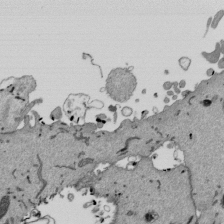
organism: Mouse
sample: ED-1 cell nuclei; centrioles